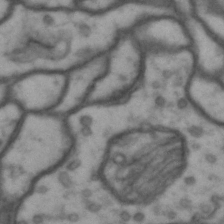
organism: Drosophila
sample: Brain